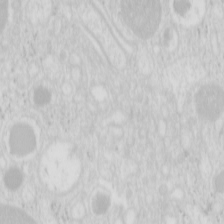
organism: Mouse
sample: Pancreas